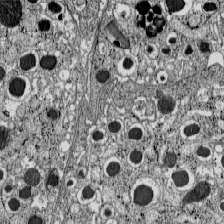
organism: C57BL Mouse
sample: Pancreatic islet